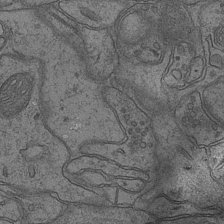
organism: Mouse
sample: CA1 Hippocampus